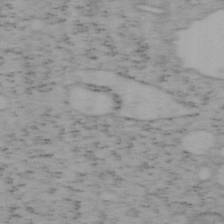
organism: Mouse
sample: OT-I killer T cells with ID8 ovarian cancer cells